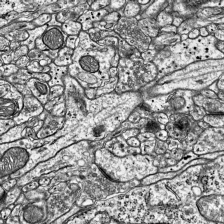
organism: Mouse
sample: Visual Cortex